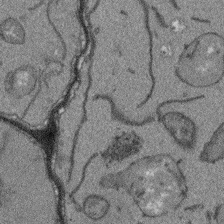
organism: Arabidopsis thaliana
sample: Root tip